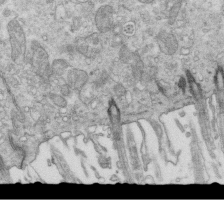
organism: Mouse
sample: Multiciliated cells